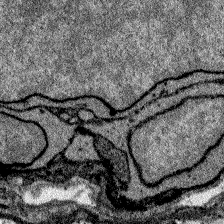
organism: Zebrafish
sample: Larval olfactory bulb